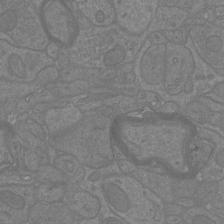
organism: Mouse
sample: Cortical neurons